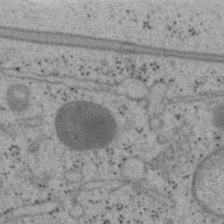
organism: Human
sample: HeLa cells